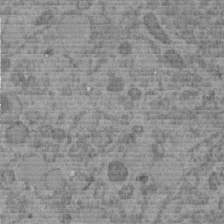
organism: C. elegans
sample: C. elegans embryo early stage